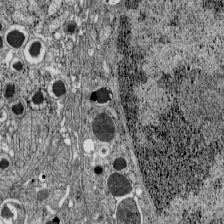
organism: C57BL Mouse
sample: Pancreatic islet